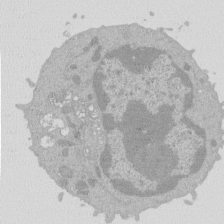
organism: Mouse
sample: Activated Pmel transgenic CD8+ T Cells